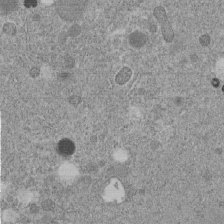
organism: C. elegans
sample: C. elegans embryo early stage